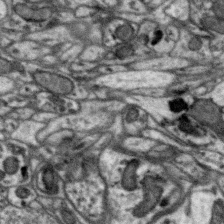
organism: Zebra finch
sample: Brain